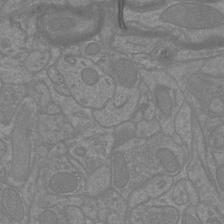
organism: Mouse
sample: Cortical neurons